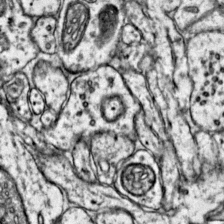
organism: Mouse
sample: Primary visual cortex